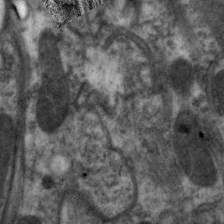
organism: C. elegans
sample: Pharynx